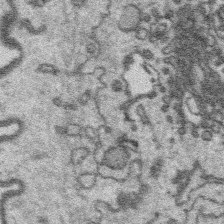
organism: Platynereis dumerilii